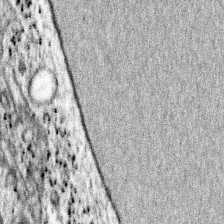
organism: Human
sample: HeLa cells